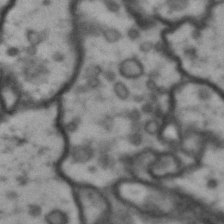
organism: Drosophila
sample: Brain